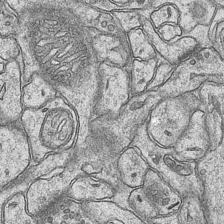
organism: Mouse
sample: CA1 Hippocampus